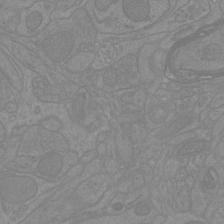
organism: Mouse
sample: Cortical neurons